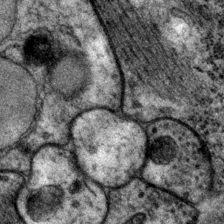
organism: P. pacificus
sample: Pharynx